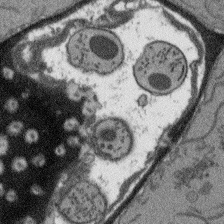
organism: Arabidopsis thaliana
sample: Root tip